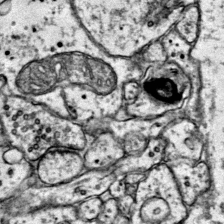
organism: Mouse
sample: Primary visual cortex